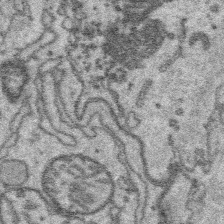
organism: Platynereis dumerilii